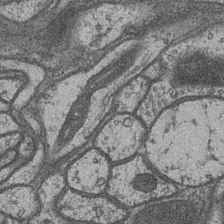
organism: Drosophila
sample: Optic medulla